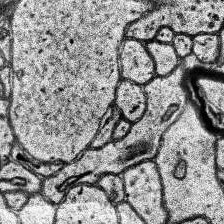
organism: Human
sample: Temporal Lobe